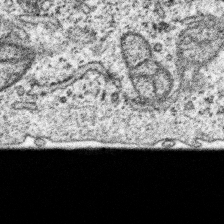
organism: Human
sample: HeLa cells